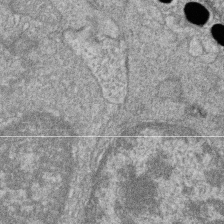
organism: Zebrafish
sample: Cilia; retinal pigment epithelium